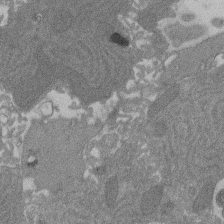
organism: Rat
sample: Salivary granule